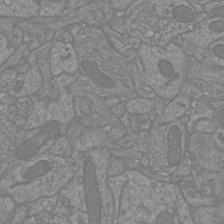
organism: Mouse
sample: Cortical neurons